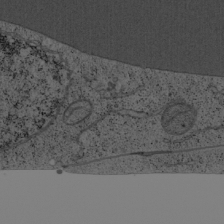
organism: African green monkey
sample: COS-7 cells